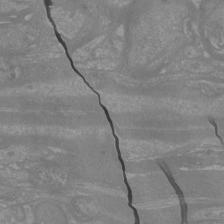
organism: Mouse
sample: Cortical neurons